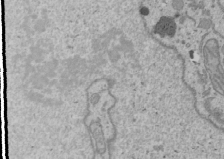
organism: Human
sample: Mitochondria in U2OS cells